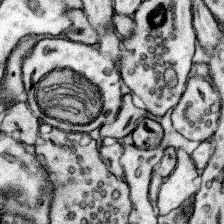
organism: Mouse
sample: Somatosensory cortex neuropil